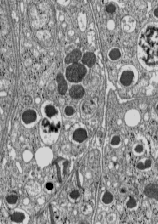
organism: C57BL Mouse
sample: Pancreatic islet